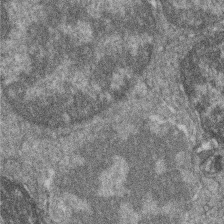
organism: Zebrafish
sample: Cilia; retinal pigment epithelium